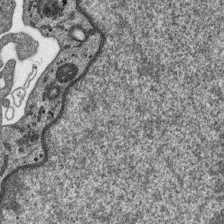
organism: Human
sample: Lung epithelial cells infected with SARS-CoV-2